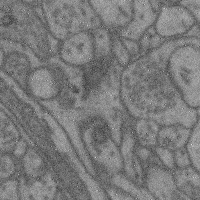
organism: Mouse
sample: Cerebral cortex